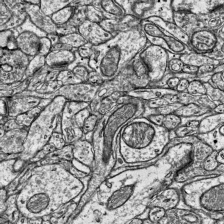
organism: Mouse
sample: Visual Cortex